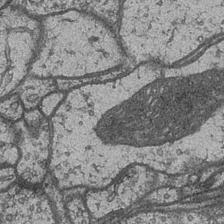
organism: Drosophila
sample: Optic medulla